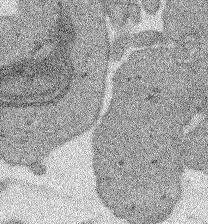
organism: Human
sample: HeLa cells